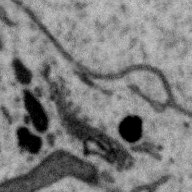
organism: Zebra finch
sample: Brain